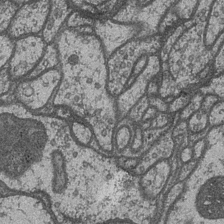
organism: Drosophila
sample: Optic medulla